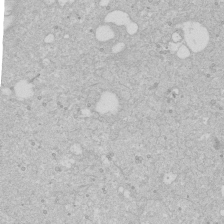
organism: Human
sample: Caco-2 cells